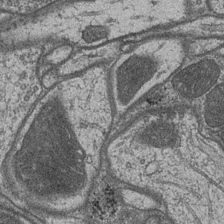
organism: Drosophila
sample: Optic medulla